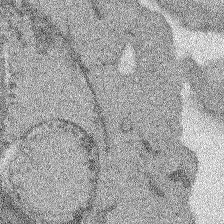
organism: Human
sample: HeLa cells